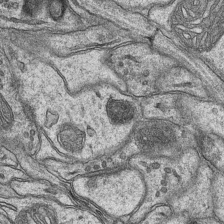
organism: Mouse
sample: CA1 Hippocampus